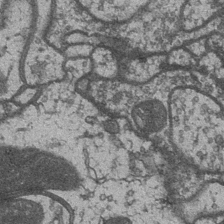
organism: Drosophila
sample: Optic medulla